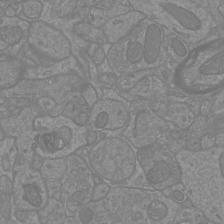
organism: Mouse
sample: Cortical neurons